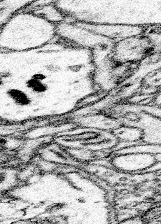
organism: Mouse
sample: Somatosensory cortex neuropil